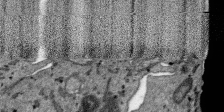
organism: Human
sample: Lung epithelial cells, uninfected (mock) control